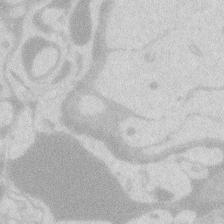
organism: Zebrafish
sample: Macrophage